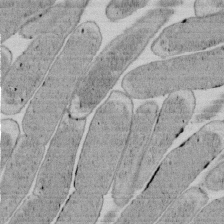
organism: E. coli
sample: Bacterial nucleoid